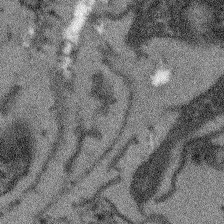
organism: Arabidopsis thaliana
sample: Root tip